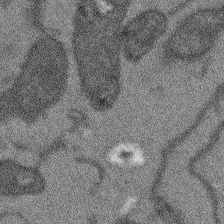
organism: Arabidopsis thaliana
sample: Root tip